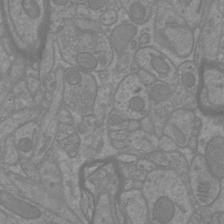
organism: Mouse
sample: Cortical neurons